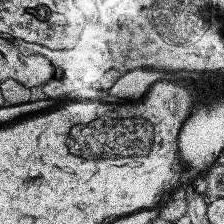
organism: Human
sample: Temporal Lobe